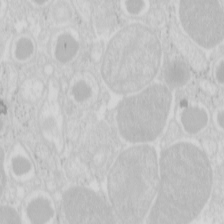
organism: Mouse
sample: Pancreas